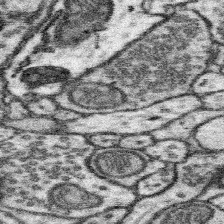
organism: Mouse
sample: Somatosensory cortex neuropil